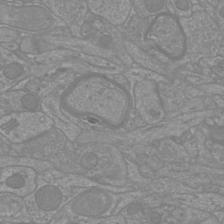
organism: Mouse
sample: Cortical neurons